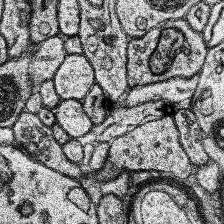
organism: Human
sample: Temporal Lobe